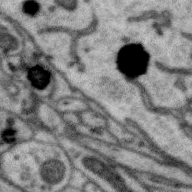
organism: Zebra finch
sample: Brain